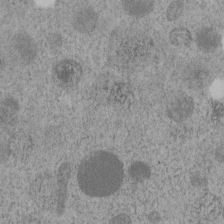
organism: C. elegans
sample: C. elegans embryo early stage